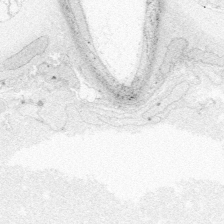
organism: Zebrafish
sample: Whole-Brain